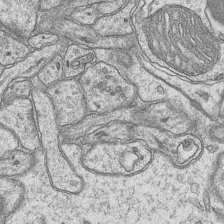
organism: Mouse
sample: CA1 Hippocampus